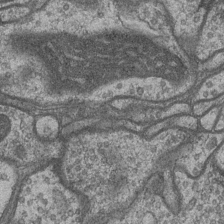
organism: Drosophila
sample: Optic medulla